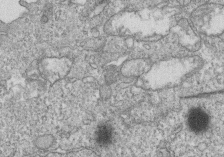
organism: Human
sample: HeLa cell HIV synapse